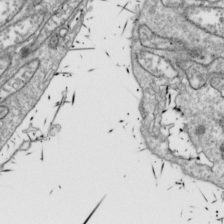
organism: Drosophila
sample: Cell division; meiosis; drosophila spermatocytes